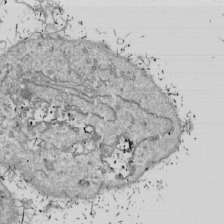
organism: Drosophila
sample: Cell division; meiosis; drosophila spermatocytes